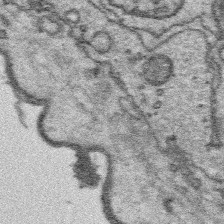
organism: Platynereis dumerilii